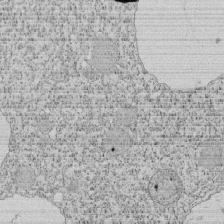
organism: Tetrahymena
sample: Cilia in tetrahymena